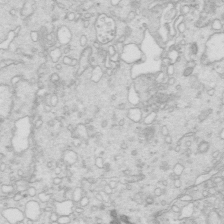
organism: Mouse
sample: Multiciliated cells